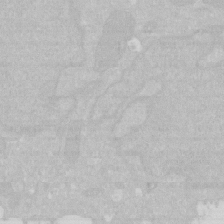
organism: Human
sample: HIV infected U937 cells